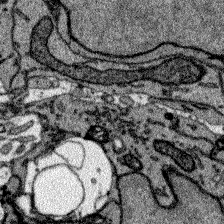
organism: Zebrafish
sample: Larval olfactory bulb